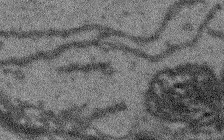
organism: Arabidopsis thaliana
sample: Root tip